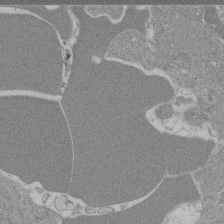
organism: Mouse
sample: Glomerulus